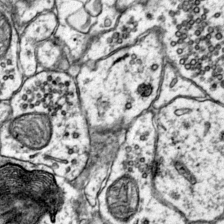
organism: Mouse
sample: Primary visual cortex